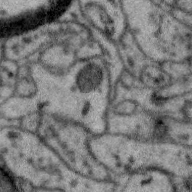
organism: Zebra finch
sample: Brain